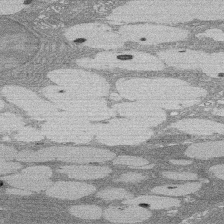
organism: Rat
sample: Salivary granule